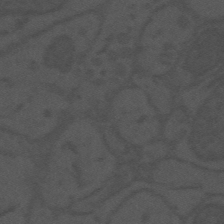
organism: Mouse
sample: Suprachiasmatic nucleus